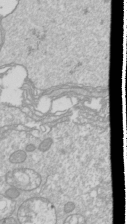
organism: Drosophila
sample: Cell division; meiosis; drosophila spermatocytes